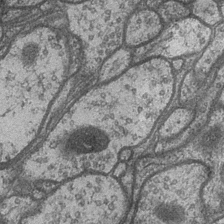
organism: Drosophila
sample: Optic medulla